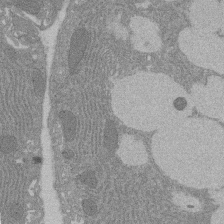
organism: Rat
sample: Salivary granule